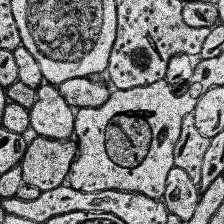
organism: Human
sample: Temporal Lobe